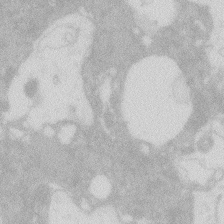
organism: Zebrafish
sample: Macrophage